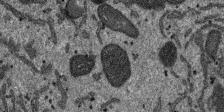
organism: Human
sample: Lung epithelial cells infected with SARS-CoV-2